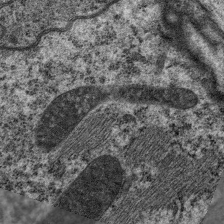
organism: C. elegans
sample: Pharynx